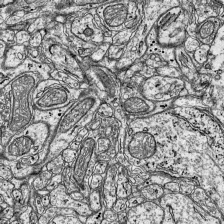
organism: Mouse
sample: Visual Cortex